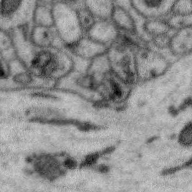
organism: Zebra finch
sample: Brain